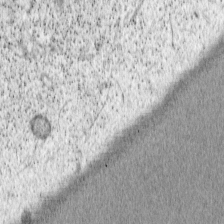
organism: African green monkey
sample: COS-7 cells